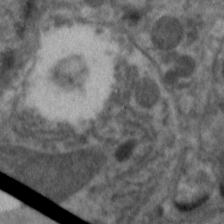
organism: C. elegans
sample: Pharynx